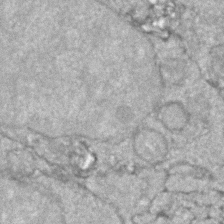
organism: Zebrafish